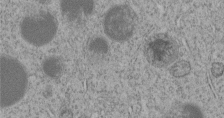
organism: C. elegans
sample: C. elegans embryo early stage